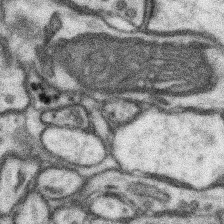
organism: Mouse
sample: Somatosensory cortex neuropil